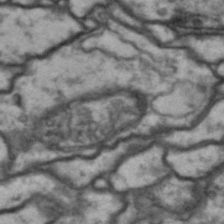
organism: Drosophila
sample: Brain